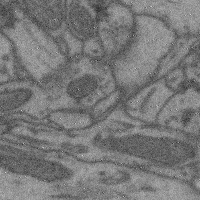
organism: Mouse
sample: Cerebral cortex